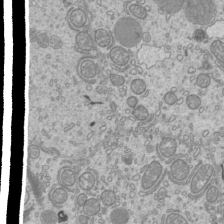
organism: Mouse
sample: Cilia; mouse epididymis